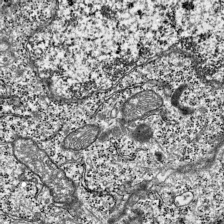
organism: Mouse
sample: Visual Cortex